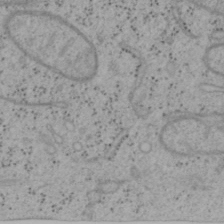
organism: Human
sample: HeLa cells